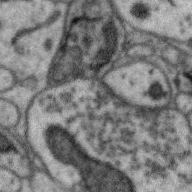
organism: Zebra finch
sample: Brain